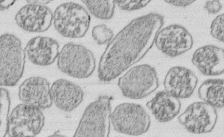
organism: E. coli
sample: Bacterial nucleoid